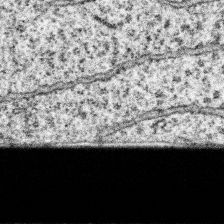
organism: Human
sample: HeLa cells